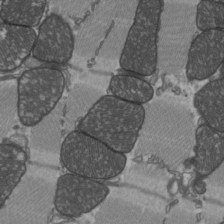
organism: C57BL Mouse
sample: Heart